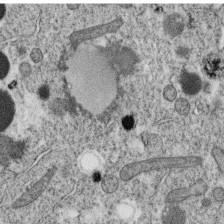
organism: C. elegans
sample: C. elegans oocyte; sperm cells